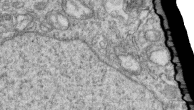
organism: Human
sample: HeLa cell HIV synapse